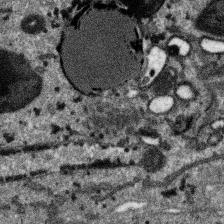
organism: Human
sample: Lung epithelial cells infected with SARS-CoV-2